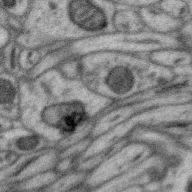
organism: Zebra finch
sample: Brain